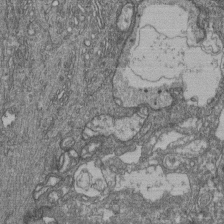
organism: Human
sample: Retinal organoid Rod and Cone cells